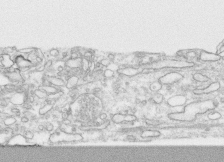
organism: Human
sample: CRL-1474